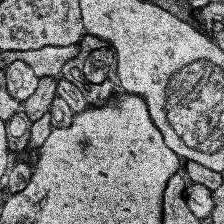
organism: Human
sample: Temporal Lobe